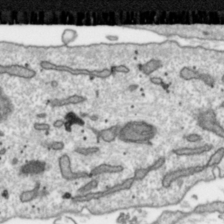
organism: Toxoplasma gondii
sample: Parasites in a vacuole inside a host cell